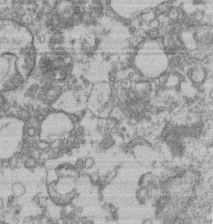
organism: Mouse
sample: T cell stromal cell synapse